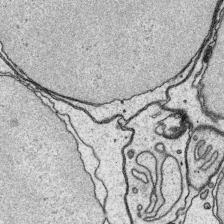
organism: Platynereis dumerilii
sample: Parapodia